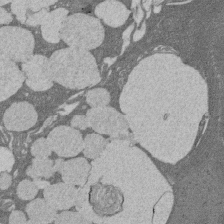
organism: Rat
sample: Salivary granule